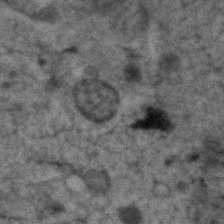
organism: Human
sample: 1205lu cells